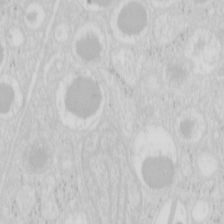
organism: Mouse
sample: Pancreas